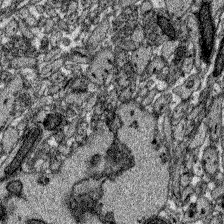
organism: Zebrafish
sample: Larval olfactory bulb